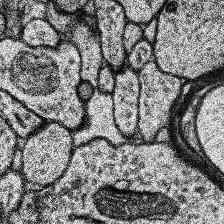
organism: Human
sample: Temporal Lobe